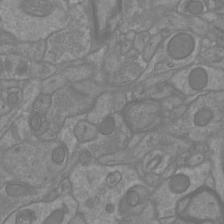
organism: Mouse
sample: Cortical neurons